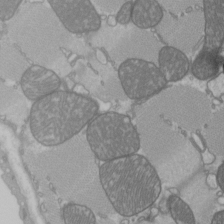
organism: C57BL Mouse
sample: Heart